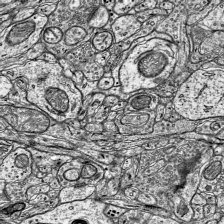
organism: Mouse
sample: Visual Cortex